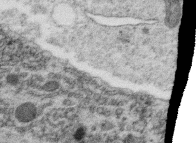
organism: C. elegans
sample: C. elegans oocyte; sperm cells